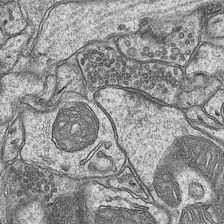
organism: Mouse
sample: CA1 Hippocampus